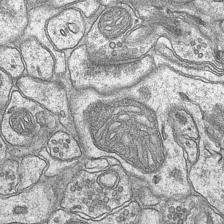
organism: Mouse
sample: CA1 Hippocampus